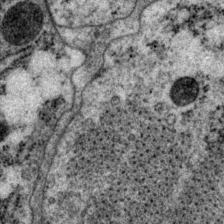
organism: P. pacificus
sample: Pharynx